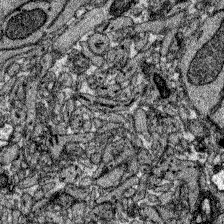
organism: Zebrafish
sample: Larval olfactory bulb